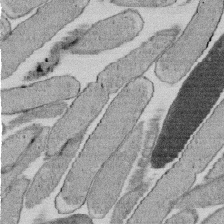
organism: E. coli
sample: Bacterial nucleoid